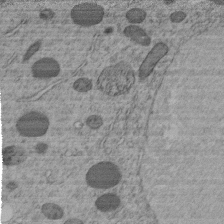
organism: C. elegans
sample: C. elegans embryo early stage